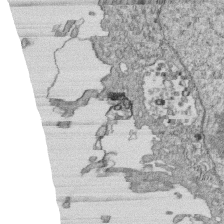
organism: Human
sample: HeLa cell HIV synapse